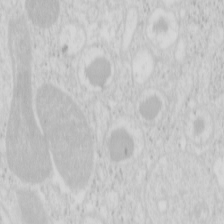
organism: Mouse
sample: Pancreas